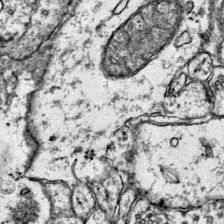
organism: Mouse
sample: Primary visual cortex